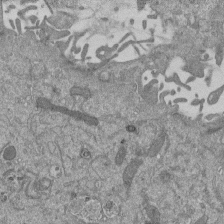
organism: Mouse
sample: ED-1 cell nuclei; centrioles